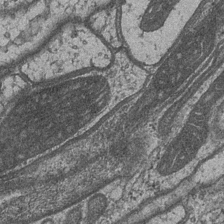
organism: Drosophila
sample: Optic medulla